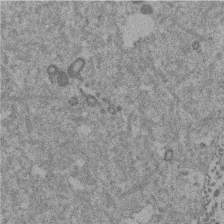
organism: Mouse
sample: Dividing mouse embryo 1 cell stage